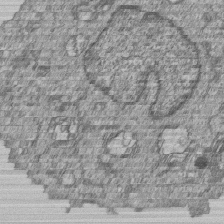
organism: Human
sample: MDA-MB-231 cells